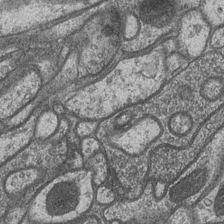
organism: Drosophila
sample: Optic medulla